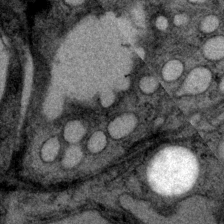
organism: P. pacificus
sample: Pharynx